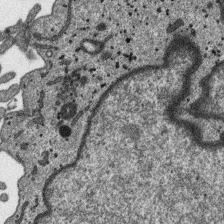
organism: Human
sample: Lung epithelial cells infected with SARS-CoV-2